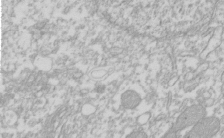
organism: Xenopus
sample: Cilia; centrioles in frog embryo cells